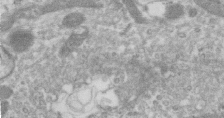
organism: Human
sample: Centriole in RPE cells